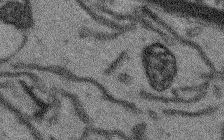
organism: Arabidopsis thaliana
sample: Root tip